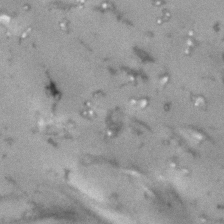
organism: Human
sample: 1205lu cells